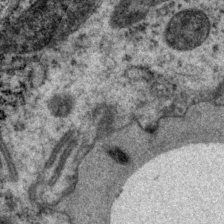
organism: P. pacificus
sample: Pharynx